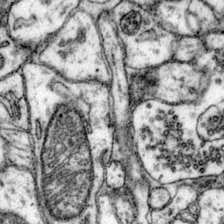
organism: Mouse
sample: Primary visual cortex